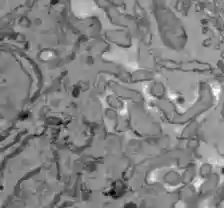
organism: C57BL Mouse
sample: Liver